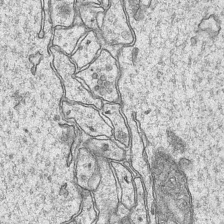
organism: Mouse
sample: CA1 Hippocampus